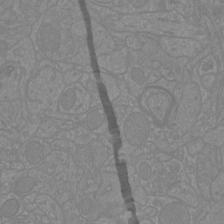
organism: Mouse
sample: Cortical neurons